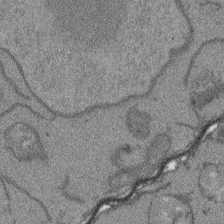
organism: Arabidopsis thaliana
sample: Root tip